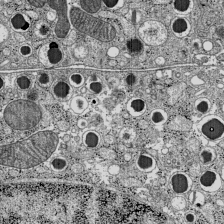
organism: C57BL Mouse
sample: Pancreatic islet